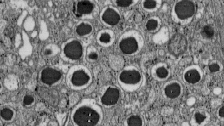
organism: C57BL Mouse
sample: Pancreatic islet